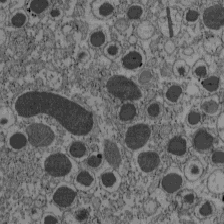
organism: C57BL Mouse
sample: Pancreatic islet